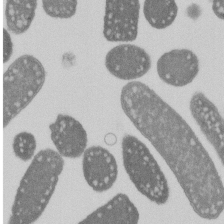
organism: E. coli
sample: Bacterial nucleoid